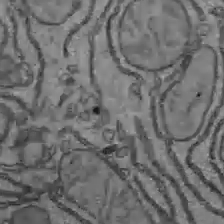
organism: C57BL Mouse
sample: Liver